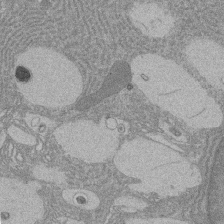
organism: Rat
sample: Salivary granule